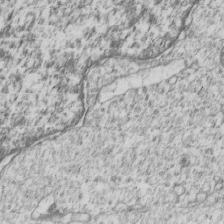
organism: Human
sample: MDA-MB-231 cells